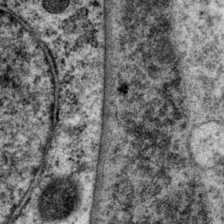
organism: P. pacificus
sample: Pharynx